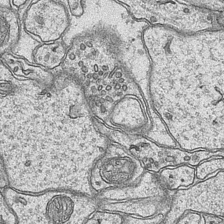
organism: Mouse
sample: CA1 Hippocampus